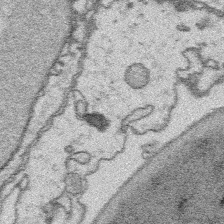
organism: Platynereis dumerilii